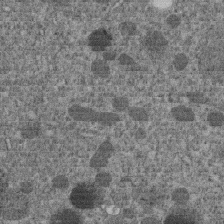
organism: C. elegans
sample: C. elegans embryo early stage